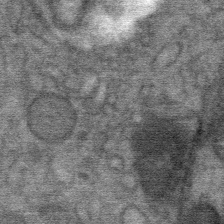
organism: Mouse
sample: Mouse Salivary gland